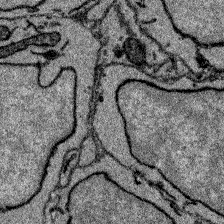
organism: Zebrafish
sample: Larval olfactory bulb